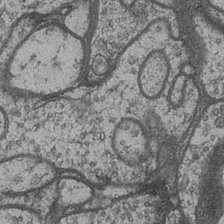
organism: Drosophila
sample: Optic medulla